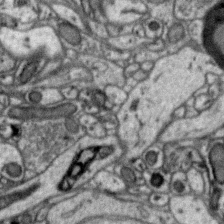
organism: Zebra finch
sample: Brain